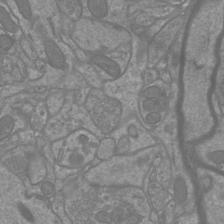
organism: Mouse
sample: Cortical neurons